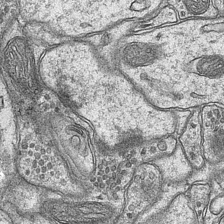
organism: Mouse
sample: CA1 Hippocampus